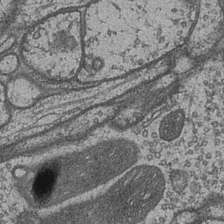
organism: Drosophila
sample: Optic medulla